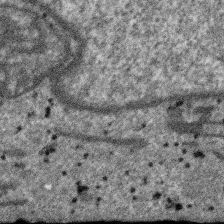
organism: Human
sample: Lung epithelial cells infected with SARS-CoV-2